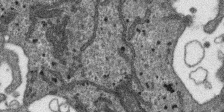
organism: Human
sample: Lung epithelial cells infected with SARS-CoV-2